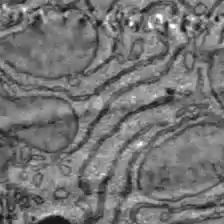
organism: C57BL Mouse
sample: Liver